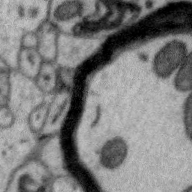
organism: Zebra finch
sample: Brain